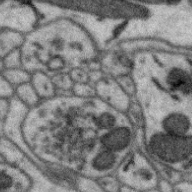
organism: Zebra finch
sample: Brain